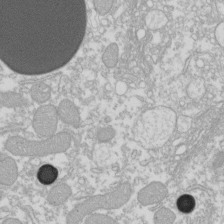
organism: Xenopus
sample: Cilia; centrioles in frog embryo cells